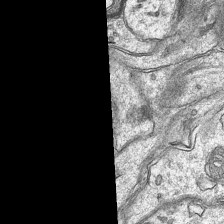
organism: Mouse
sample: CA1 Hippocampus